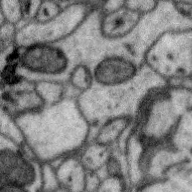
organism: Zebra finch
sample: Brain